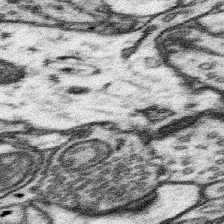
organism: Mouse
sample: Somatosensory cortex neuropil